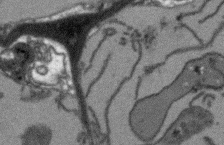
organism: Arabidopsis thaliana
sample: Root tip